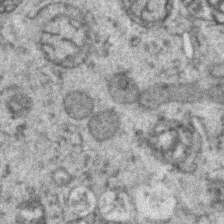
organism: Zebrafish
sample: Zebrafish embryo